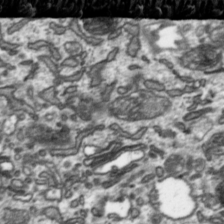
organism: Toxoplasma gondii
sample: Parasites in a vacuole inside a host cell